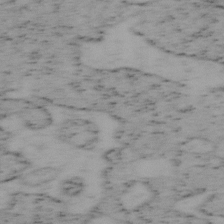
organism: Mouse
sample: OT-I killer T cells with ID8 ovarian cancer cells